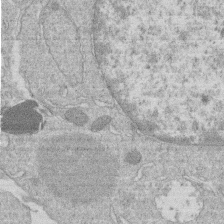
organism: Human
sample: Macrophage cells